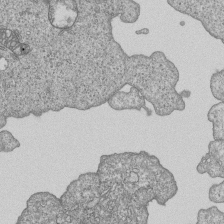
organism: Human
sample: MDA-MB-231 cells